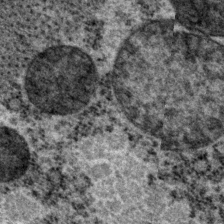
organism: P. pacificus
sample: Pharynx